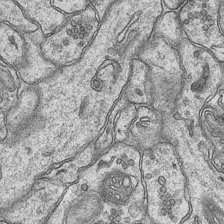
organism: Mouse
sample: CA1 Hippocampus